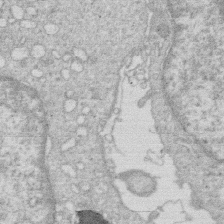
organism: Human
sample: Macrophage cells